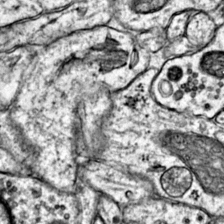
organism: Mouse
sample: Primary visual cortex